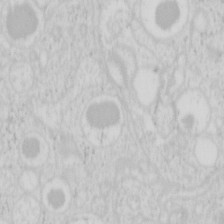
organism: Mouse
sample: Pancreas